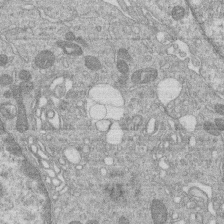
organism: Human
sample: Macrophage cells